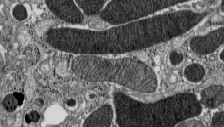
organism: C57BL Mouse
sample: Pancreatic islet